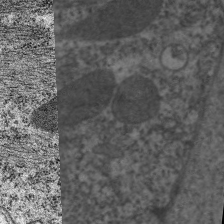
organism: C. elegans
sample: Pharynx